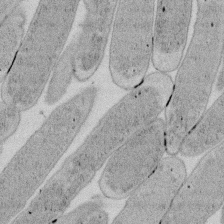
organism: E. coli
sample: Bacterial nucleoid